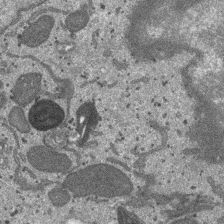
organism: Human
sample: Lung epithelial cells infected with SARS-CoV-2